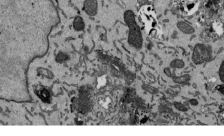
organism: Mouse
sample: ED-1 cell nuclei; centrioles